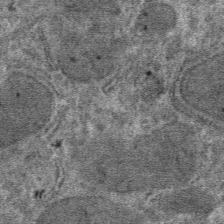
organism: Mouse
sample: Mouse hepatocytes